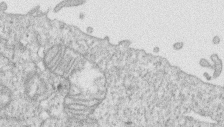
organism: Human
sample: HeLa cell HIV synapse